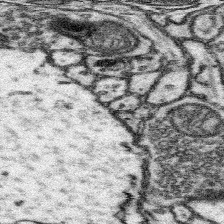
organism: Mouse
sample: Somatosensory cortex neuropil